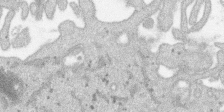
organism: Human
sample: Lung epithelial cells infected with SARS-CoV-2